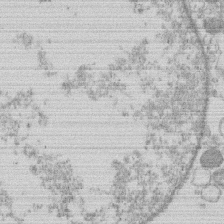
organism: Human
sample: Macrophage cells